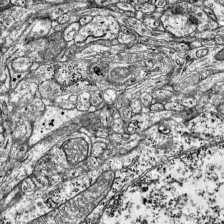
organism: Mouse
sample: Visual Cortex